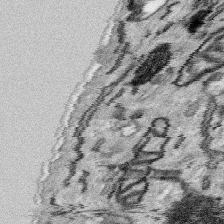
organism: Human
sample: HeLa cells